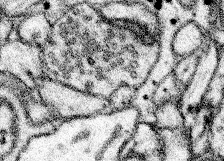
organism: Mouse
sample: Somatosensory cortex neuropil